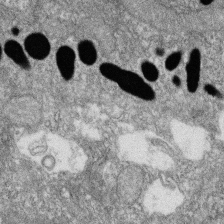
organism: Zebrafish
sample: Cilia; retinal pigment epithelium